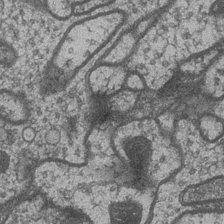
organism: Drosophila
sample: Optic medulla